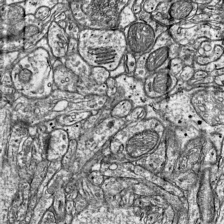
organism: Mouse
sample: Visual Cortex